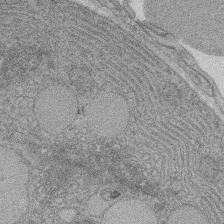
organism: Rat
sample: Salivary granule